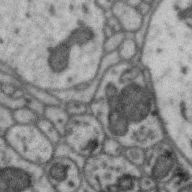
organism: Zebra finch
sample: Brain